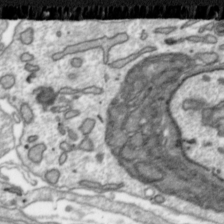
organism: Toxoplasma gondii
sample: Parasites in a vacuole inside a host cell